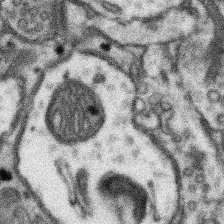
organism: Mouse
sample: Somatosensory cortex neuropil